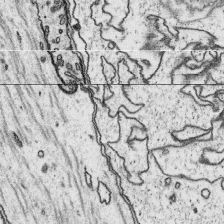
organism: Platynereis dumerilii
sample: Parapodia